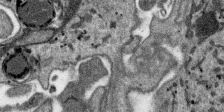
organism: Human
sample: Lung epithelial cells, uninfected (mock) control